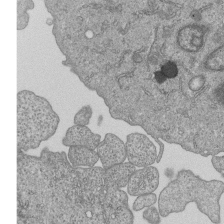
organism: Human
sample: MDA-MB-231 cells